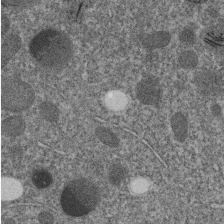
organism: C. elegans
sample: C. elegans embryo early stage